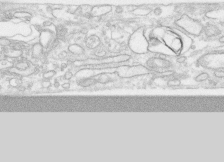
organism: Human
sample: CRL-1474